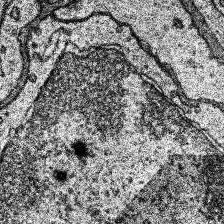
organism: Human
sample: Temporal Lobe